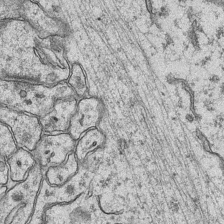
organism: Mouse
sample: CA1 Hippocampus